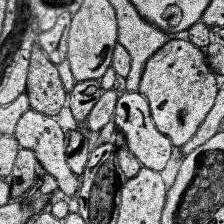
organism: Human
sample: Temporal Lobe